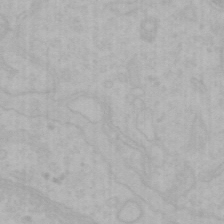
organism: Mouse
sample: Choroid plexus